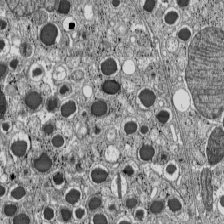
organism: C57BL Mouse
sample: Pancreatic islet